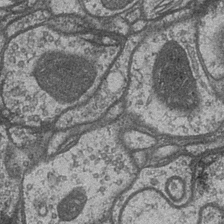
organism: Drosophila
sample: Optic medulla